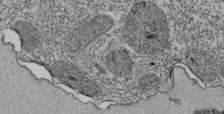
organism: Tetrahymena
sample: Cilia in tetrahymena